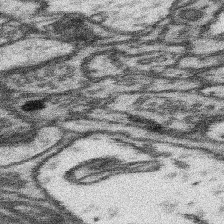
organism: Mouse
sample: Somatosensory cortex neuropil